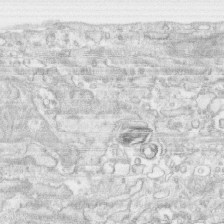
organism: Human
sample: CRL-1474